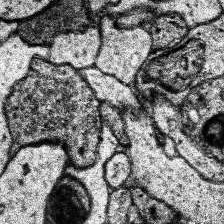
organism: Human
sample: Temporal Lobe